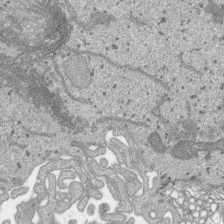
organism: Human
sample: Lung epithelial cells infected with SARS-CoV-2